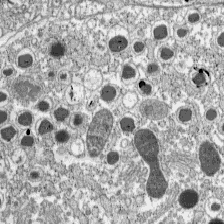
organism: C57BL Mouse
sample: Pancreatic islet